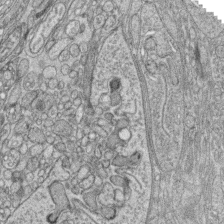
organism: Zebrafish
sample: synaptic ribbons in rod cells and cone cells